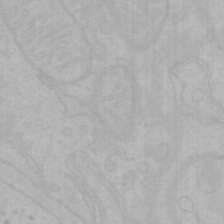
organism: Mouse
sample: Choroid plexus